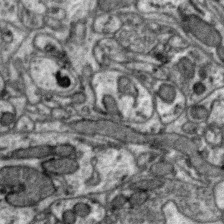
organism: Zebra finch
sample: Brain